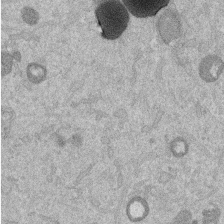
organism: Mouse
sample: Dividing mouse embryo 1 cell stage